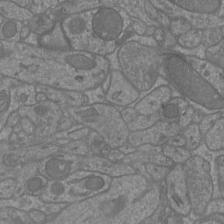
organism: Mouse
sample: Cortical neurons